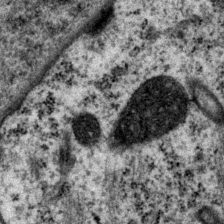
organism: P. pacificus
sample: Pharynx